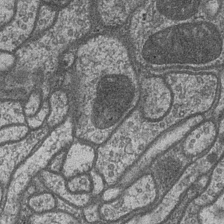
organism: Drosophila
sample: Optic medulla